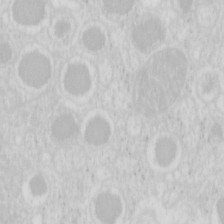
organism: Mouse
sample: Pancreas